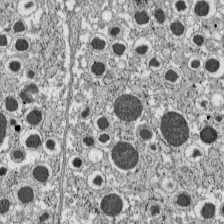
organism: C57BL Mouse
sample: Pancreatic islet